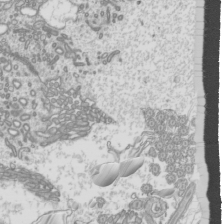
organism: Mouse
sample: Cilia; mouse epididymis